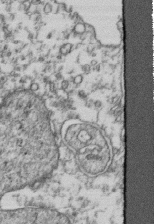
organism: Human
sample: Activated Jurkat CD4+ T cells